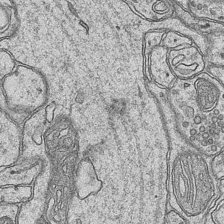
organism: Mouse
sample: CA1 Hippocampus